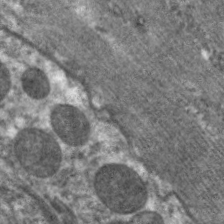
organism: C. elegans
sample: Pharynx